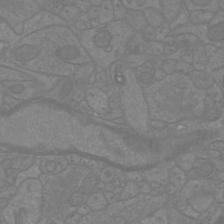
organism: Mouse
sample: Cortical neurons